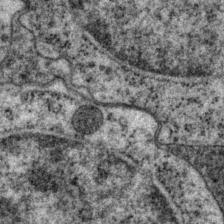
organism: P. pacificus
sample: Pharynx